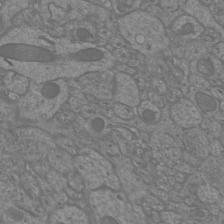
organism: Mouse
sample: Cortical neurons